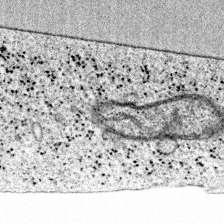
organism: Human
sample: HeLa cells